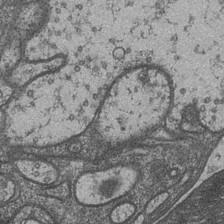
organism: Drosophila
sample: Optic medulla